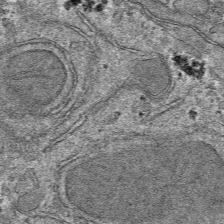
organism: Mouse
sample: Mouse hepatocytes